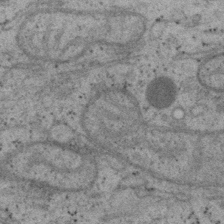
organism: Human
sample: HeLa cells